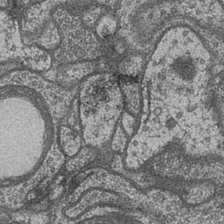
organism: Drosophila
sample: Optic medulla